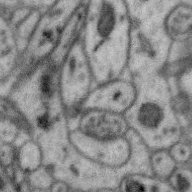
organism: Zebra finch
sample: Brain